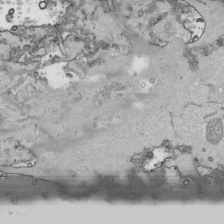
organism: Human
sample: Mitochondria in HCT116 cells